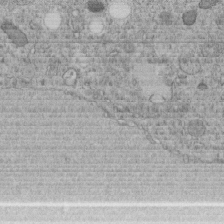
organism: C. elegans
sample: C. elegans embryo early stage